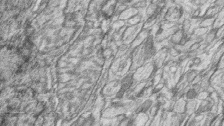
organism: Zebrafish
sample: synaptic ribbons in rod cells and cone cells